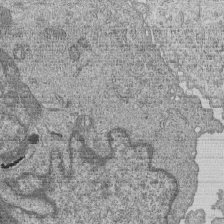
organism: Human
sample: MDA-MB-231 cells